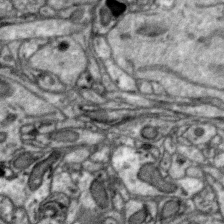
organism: Zebra finch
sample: Brain